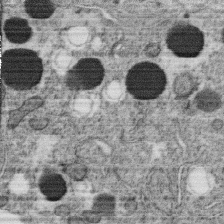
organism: C. elegans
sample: C. elegans oocyte; sperm cells